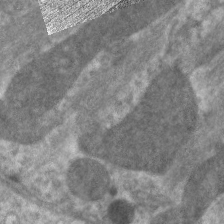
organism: C. elegans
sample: Pharynx